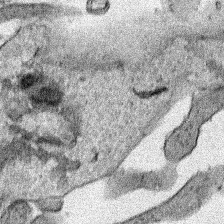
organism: Human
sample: Mitochondria in HCT116 cells